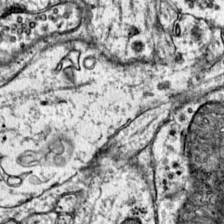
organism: Mouse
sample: Primary visual cortex